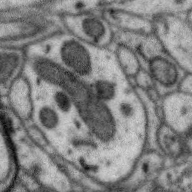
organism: Zebra finch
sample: Brain